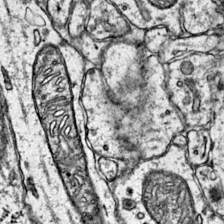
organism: Mouse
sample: Primary visual cortex